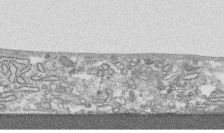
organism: Human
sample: CRL-1474